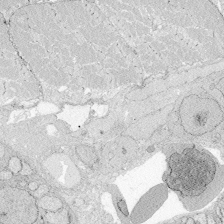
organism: Zebrafish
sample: Whole-Brain